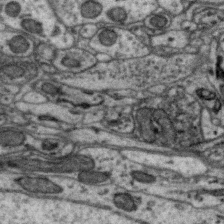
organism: Zebra finch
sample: Brain